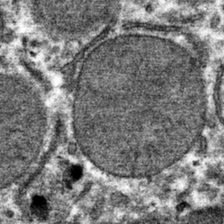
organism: Mouse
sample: Mouse hepatocytes